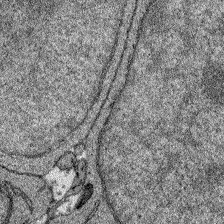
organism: Zebrafish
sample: Larval olfactory bulb